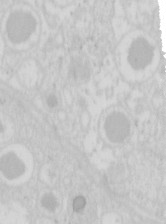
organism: Mouse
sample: Pancreas